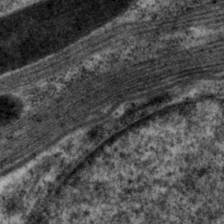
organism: P. pacificus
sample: Pharynx